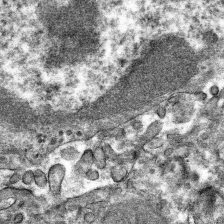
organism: Mouse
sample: Mouse hepatocytes